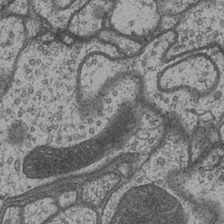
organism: Drosophila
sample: Optic medulla